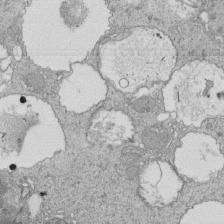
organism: Tetrahymena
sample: Cilia in tetrahymena